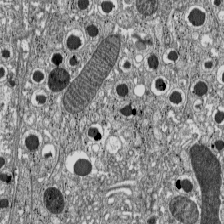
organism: C57BL Mouse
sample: Pancreatic islet